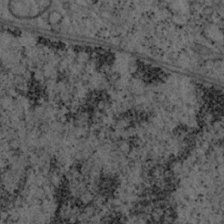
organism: Human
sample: HeLa cells